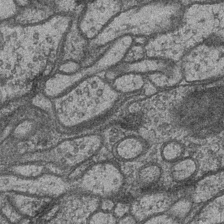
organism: Drosophila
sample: Optic medulla